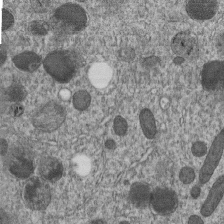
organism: C. elegans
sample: C. elegans embryo early stage